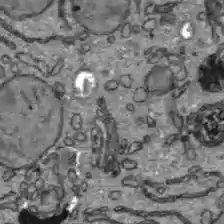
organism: C57BL Mouse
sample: Liver